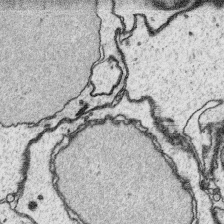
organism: Platynereis dumerilii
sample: Parapodia